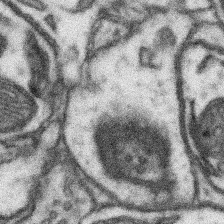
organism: Mouse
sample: Somatosensory cortex neuropil